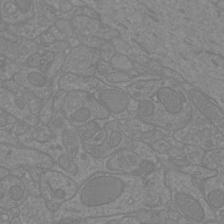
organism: Mouse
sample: Cortical neurons